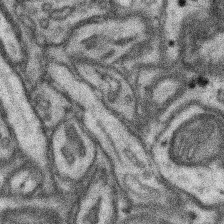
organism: Mouse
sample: Somatosensory cortex neuropil